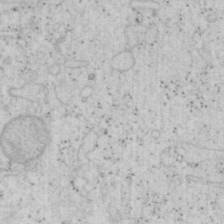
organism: Human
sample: HeLa cells